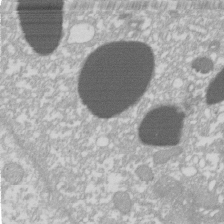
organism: Xenopus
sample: Cilia; centrioles in frog embryo cells